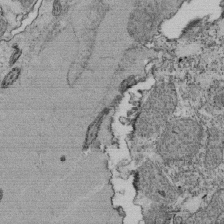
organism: Tetrahymena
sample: Cilia in tetrahymena